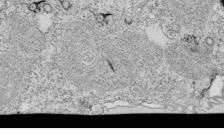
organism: Tetrahymena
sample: Cilia in tetrahymena